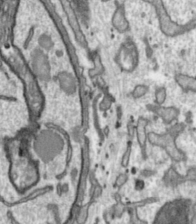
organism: Toxoplasma gondii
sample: Parasites in a vacuole inside a host cell